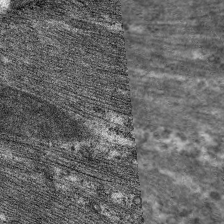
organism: C. elegans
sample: Pharynx